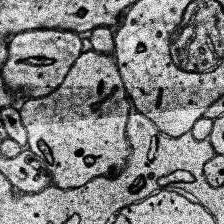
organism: Human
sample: Temporal Lobe